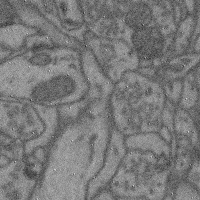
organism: Mouse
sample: Cerebral cortex